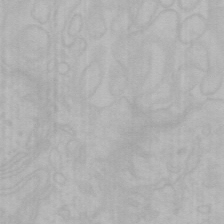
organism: Mouse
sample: Choroid plexus